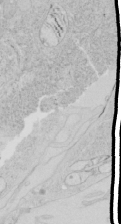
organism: Human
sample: Mitochondria in HCT116 cells